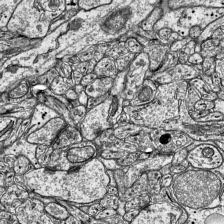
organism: Mouse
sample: Visual Cortex